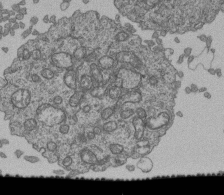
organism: Human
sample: Retinal organoid Rod and Cone cells